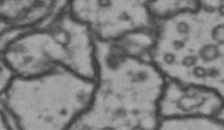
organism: Drosophila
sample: Brain